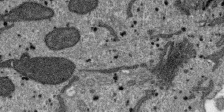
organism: Human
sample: Lung epithelial cells, uninfected (mock) control